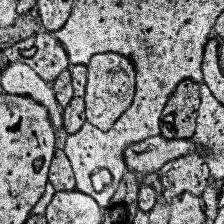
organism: Human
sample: Temporal Lobe